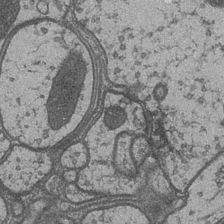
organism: Drosophila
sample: Optic medulla